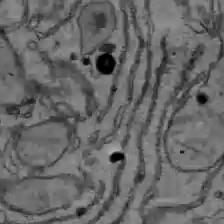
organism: C57BL Mouse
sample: Liver